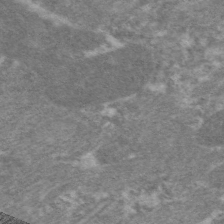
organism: C. elegans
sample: Pharynx